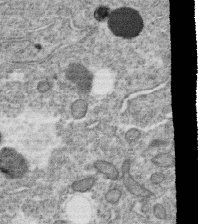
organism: C. elegans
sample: C. elegans oocyte; sperm cells